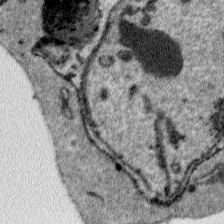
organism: Plasmodium falciparum